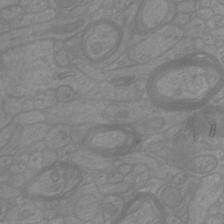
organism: Mouse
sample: Cortical neurons